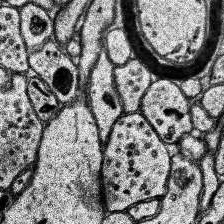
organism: Human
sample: Temporal Lobe